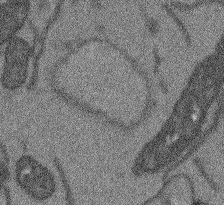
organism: Arabidopsis thaliana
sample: Root tip